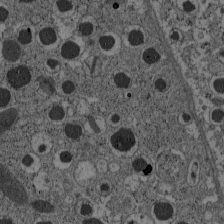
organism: C57BL Mouse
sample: Pancreatic islet